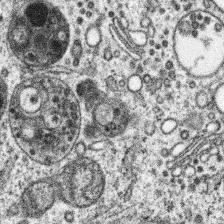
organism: Human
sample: HeLa cells